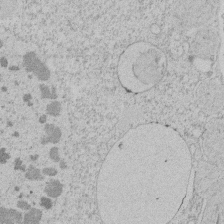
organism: Tetrahymena